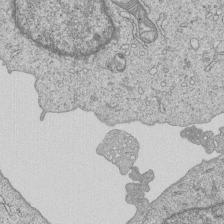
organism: Human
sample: MDA-MB-231 cells